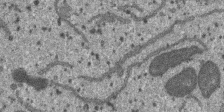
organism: Human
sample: Lung epithelial cells infected with SARS-CoV-2